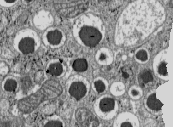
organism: C57BL Mouse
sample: Pancreatic islet